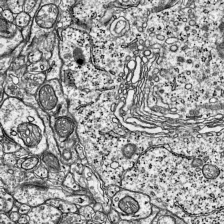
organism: Mouse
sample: Visual Cortex